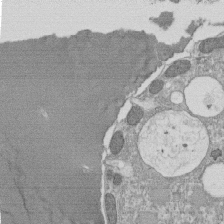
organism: Tetrahymena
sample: Cilia in tetrahymena